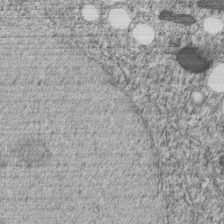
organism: C. elegans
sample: C. elegans embryo early stage